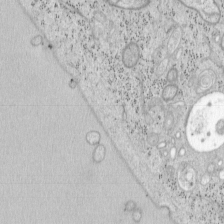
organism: Mouse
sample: OT-I killer T cells with ID8 ovarian cancer cells